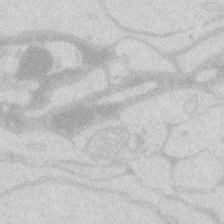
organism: Zebrafish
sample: Macrophage